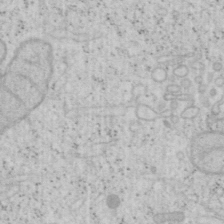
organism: Human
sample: HeLa cells